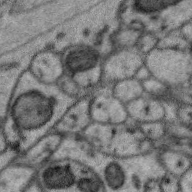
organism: Zebra finch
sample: Brain